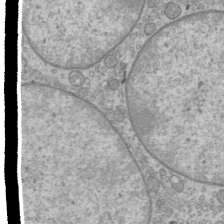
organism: Mouse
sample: Cilia; mouse epididymis